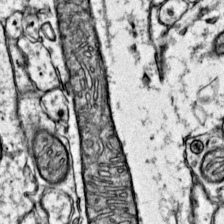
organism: Mouse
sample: Primary visual cortex